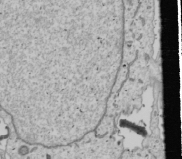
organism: Human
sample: Mitochondria in U2OS cells